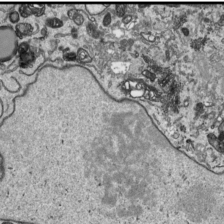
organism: Human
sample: Mitochondria in HCT116 cells